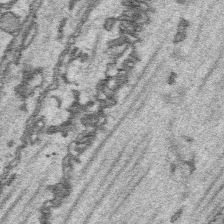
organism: Platynereis dumerilii